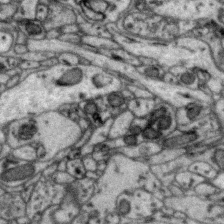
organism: Zebra finch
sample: Brain